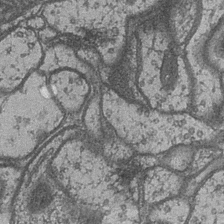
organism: Drosophila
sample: Optic medulla